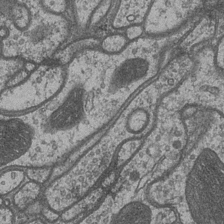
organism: Drosophila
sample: Optic medulla